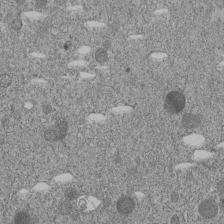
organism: C. elegans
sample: C. elegans embryo early stage